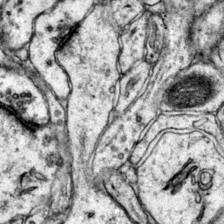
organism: Mouse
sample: Primary visual cortex